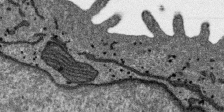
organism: Human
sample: Lung epithelial cells, uninfected (mock) control